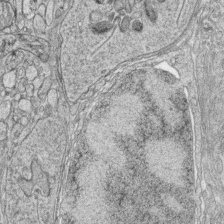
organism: Zebrafish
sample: synaptic ribbons in rod cells and cone cells